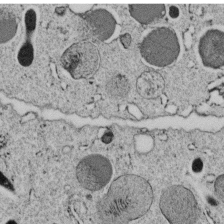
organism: C. elegans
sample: C. elegans embryo early stage